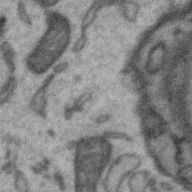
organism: Zebra finch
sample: Brain